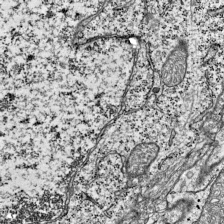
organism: Mouse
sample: Visual Cortex